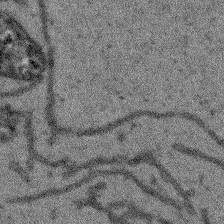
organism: Arabidopsis thaliana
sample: Root tip